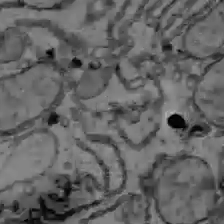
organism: C57BL Mouse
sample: Liver